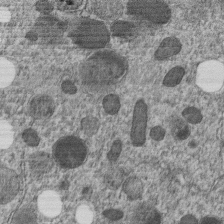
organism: C. elegans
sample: C. elegans embryo early stage